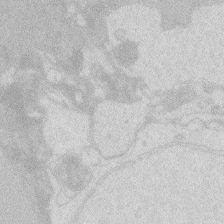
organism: Zebrafish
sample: Macrophage